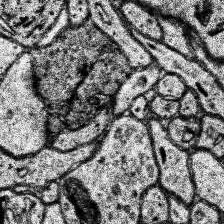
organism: Human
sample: Temporal Lobe